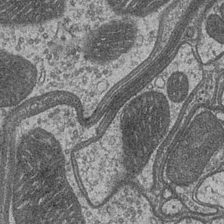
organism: Drosophila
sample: Optic medulla